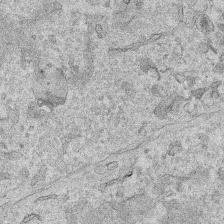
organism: Human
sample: Mitochondria in HCT116 cells